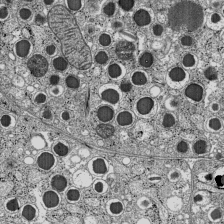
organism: C57BL Mouse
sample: Pancreatic islet